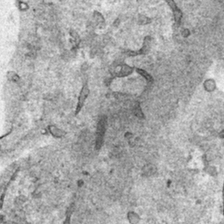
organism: Human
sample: Mitochondria in HCT116 cells